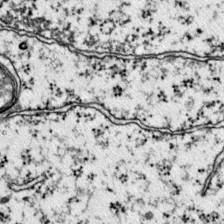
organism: Mouse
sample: Primary visual cortex